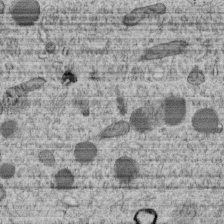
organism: C. elegans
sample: C. elegans embryo early stage